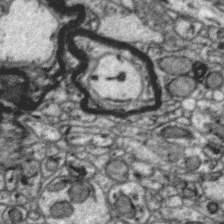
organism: Zebra finch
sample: Brain